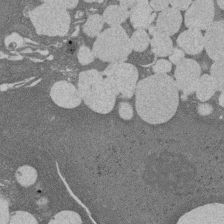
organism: Rat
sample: Salivary granule